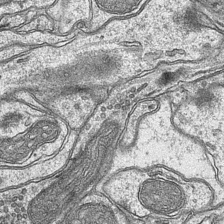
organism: Mouse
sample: CA1 Hippocampus